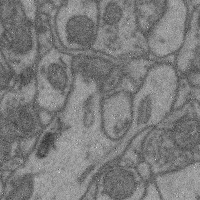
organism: Mouse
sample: Cerebral cortex